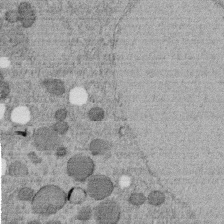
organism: C. elegans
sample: C. elegans embryo early stage